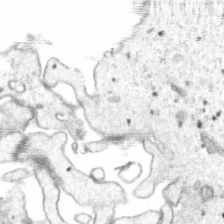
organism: Human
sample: HeLa cells